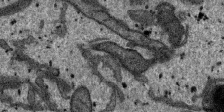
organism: Human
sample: Lung epithelial cells, uninfected (mock) control